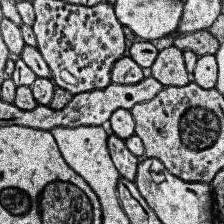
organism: Human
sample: Temporal Lobe